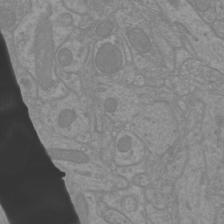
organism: Mouse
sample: Cortical neurons